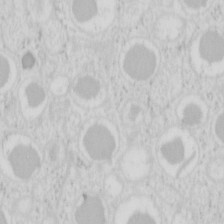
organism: Mouse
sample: Pancreas